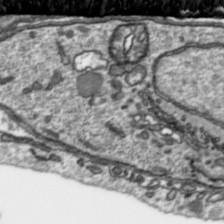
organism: Toxoplasma gondii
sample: Parasites in a vacuole inside a host cell